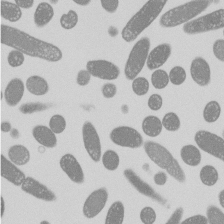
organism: E. coli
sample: Bacterial nucleoid